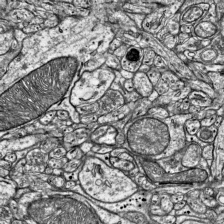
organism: Mouse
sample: Visual Cortex